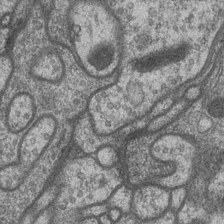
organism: Drosophila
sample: Optic medulla